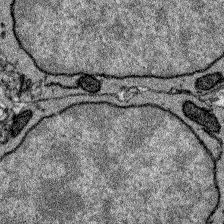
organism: Zebrafish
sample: Larval olfactory bulb